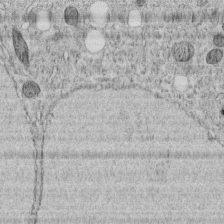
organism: C. elegans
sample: C. elegans embryo early stage